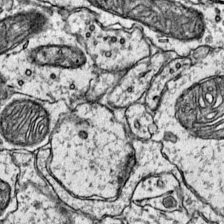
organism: Mouse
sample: Primary visual cortex